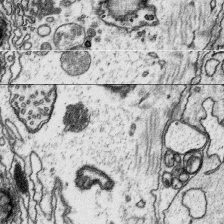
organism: Platynereis dumerilii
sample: Parapodia